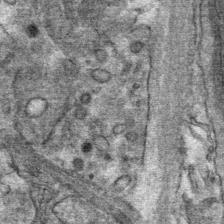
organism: Mouse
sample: Mouse Salivary gland